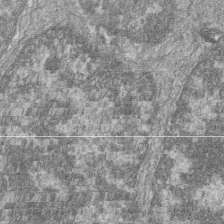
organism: Zebrafish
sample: Cilia; retinal pigment epithelium